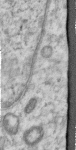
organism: Human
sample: Centriole in RPE cells